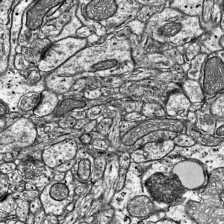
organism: Mouse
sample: Visual Cortex